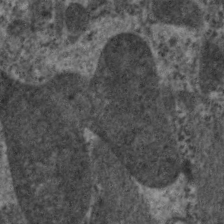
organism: C. elegans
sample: Pharynx